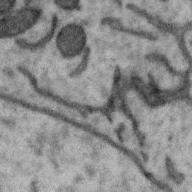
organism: Zebra finch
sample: Brain